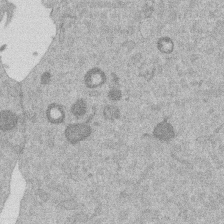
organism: Mouse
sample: Dividing mouse embryo 1 cell stage